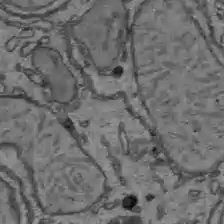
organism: C57BL Mouse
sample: Liver